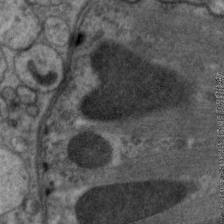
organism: C. elegans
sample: Pharynx